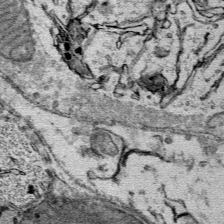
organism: Mouse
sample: Mouse Salivary gland